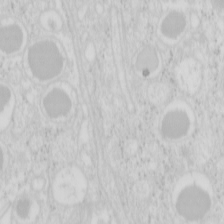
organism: Mouse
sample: Pancreas